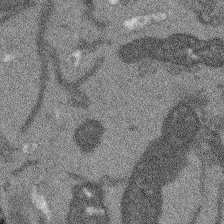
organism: Arabidopsis thaliana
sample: Root tip